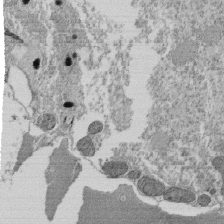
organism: Tetrahymena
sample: Cilia in tetrahymena